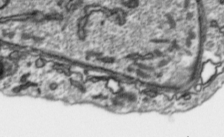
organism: Toxoplasma gondii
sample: Parasites in a vacuole inside a host cell